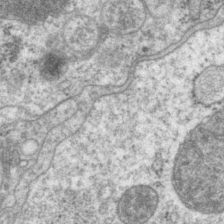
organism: P. pacificus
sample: Pharynx